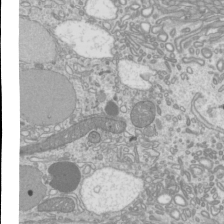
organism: Mouse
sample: Cilia; mouse epididymis